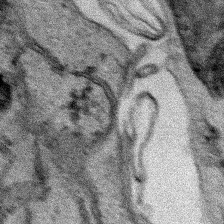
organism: Human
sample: Mitochondria in HCT116 cells